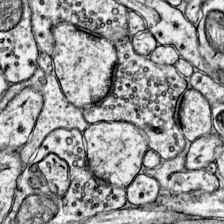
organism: Mouse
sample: Primary visual cortex